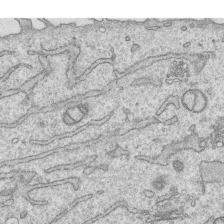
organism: Human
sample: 1205lu cells